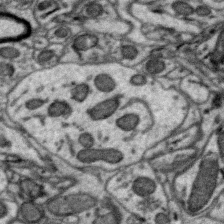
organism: Zebra finch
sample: Brain